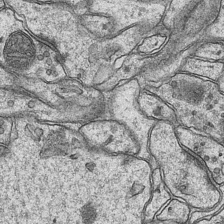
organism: Mouse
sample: CA1 Hippocampus